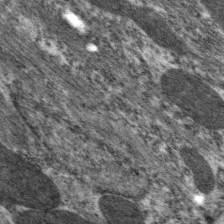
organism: C. elegans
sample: Pharynx